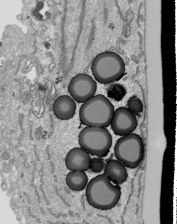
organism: Human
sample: Mitochondria in HCT116 cells